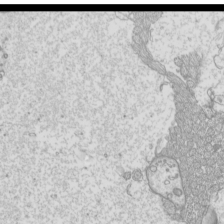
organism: Mouse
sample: Cilia; mouse epididymis